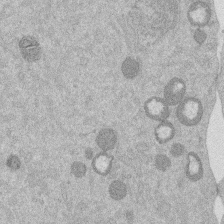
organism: Mouse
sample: Dividing mouse embryo 1 cell stage